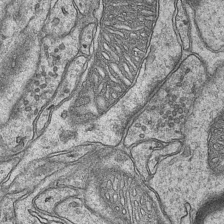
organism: Mouse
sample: CA1 Hippocampus